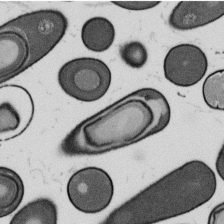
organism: B. subtilis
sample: Bacterial spore